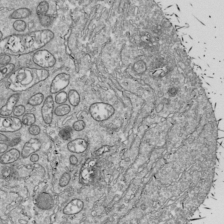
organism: Drosophila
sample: Cell division; meiosis; drosophila spermatocytes